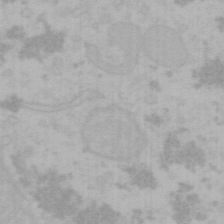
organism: Mouse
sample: Choroid plexus